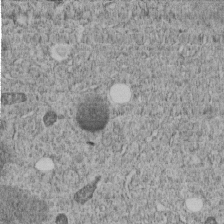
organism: C. elegans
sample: C. elegans embryo early stage